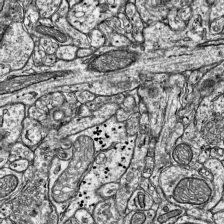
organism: Mouse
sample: Visual Cortex